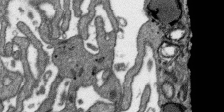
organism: Human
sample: Lung epithelial cells, uninfected (mock) control